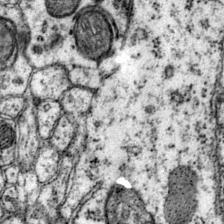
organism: Mouse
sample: Primary visual cortex